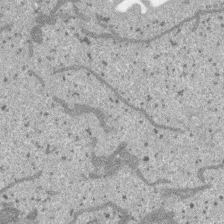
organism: Human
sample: Lung epithelial cells infected with SARS-CoV-2